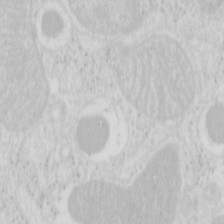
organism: Mouse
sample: Pancreas